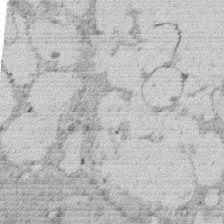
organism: Rat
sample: Salivary granule